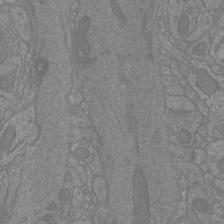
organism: Mouse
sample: Cortical neurons